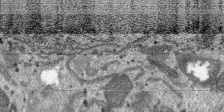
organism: Human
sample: Lung epithelial cells infected with SARS-CoV-2